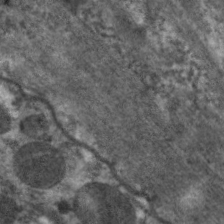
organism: C. elegans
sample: Pharynx